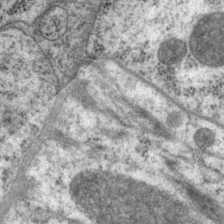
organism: P. pacificus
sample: Pharynx